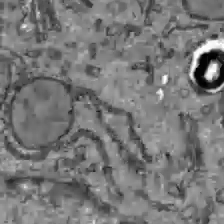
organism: C57BL Mouse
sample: Liver